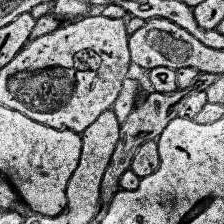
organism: Human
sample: Temporal Lobe